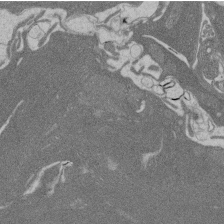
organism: Rat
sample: Salivary granule